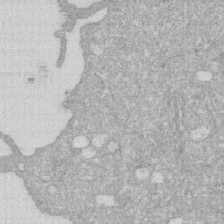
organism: Human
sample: HIV infected U937 cells